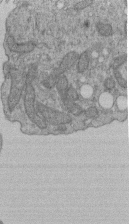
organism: Human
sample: Retinal organoid Rod and Cone cells